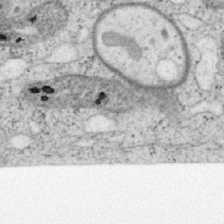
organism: Mouse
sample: OT-I killer T cells with ID8 ovarian cancer cells